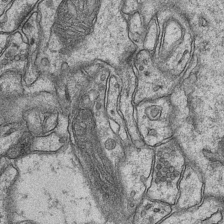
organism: Mouse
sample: CA1 Hippocampus